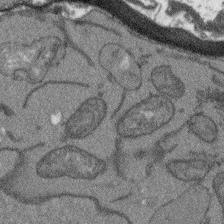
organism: Arabidopsis thaliana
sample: Root tip